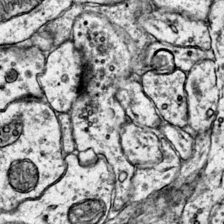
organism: Mouse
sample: Primary visual cortex